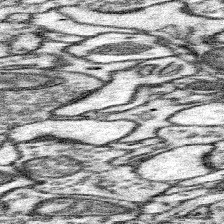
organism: Mouse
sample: Somatosensory cortex neuropil